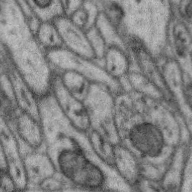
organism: Zebra finch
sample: Brain